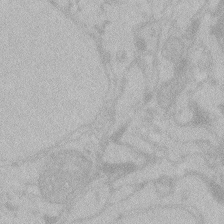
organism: Zebrafish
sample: Macrophage infected with Toxoplasma gondii